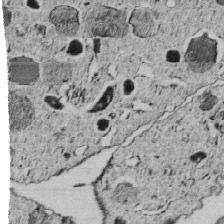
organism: C. elegans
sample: C. elegans embryo early stage